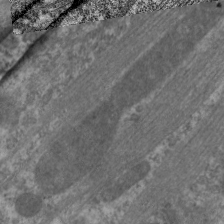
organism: C. elegans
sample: Pharynx